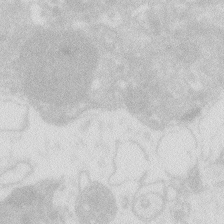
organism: Zebrafish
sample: Macrophage